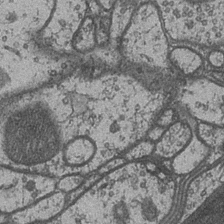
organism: Drosophila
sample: Optic medulla